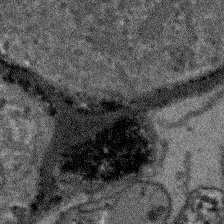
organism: Arabidopsis thaliana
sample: Root tip